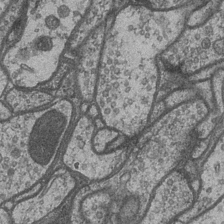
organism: Drosophila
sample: Optic medulla